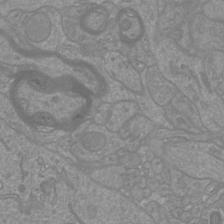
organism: Mouse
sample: Cortical neurons